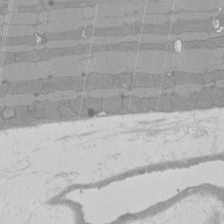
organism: Rat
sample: Left ventricle